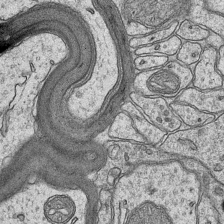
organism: Mouse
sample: CA1 Hippocampus